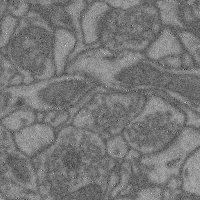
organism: Mouse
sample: Cerebral cortex